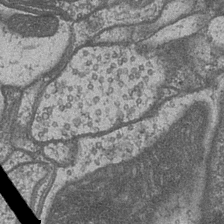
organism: Drosophila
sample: Optic medulla